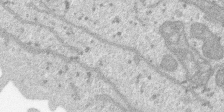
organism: Human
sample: Lung epithelial cells infected with SARS-CoV-2